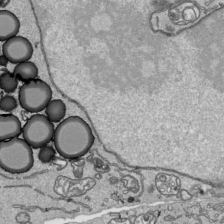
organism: Human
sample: Mitochondria in HCT116 cells